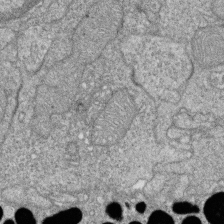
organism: Zebrafish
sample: Cilia; retinal pigment epithelium